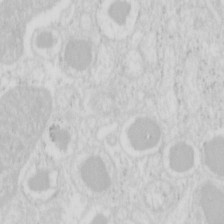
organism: Mouse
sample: Pancreas